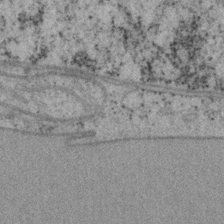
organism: Human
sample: HeLa cells